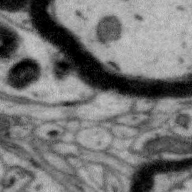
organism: Zebra finch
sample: Brain